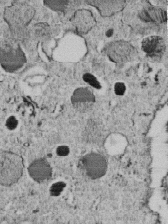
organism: C. elegans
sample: C. elegans embryo early stage